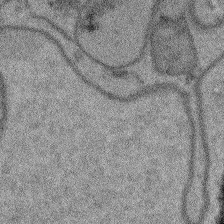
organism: Arabidopsis thaliana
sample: Root tip